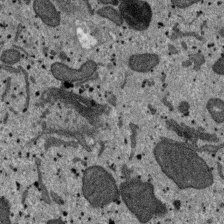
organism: Human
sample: Lung epithelial cells, uninfected (mock) control